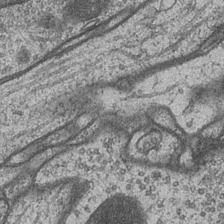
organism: Drosophila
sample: Optic medulla